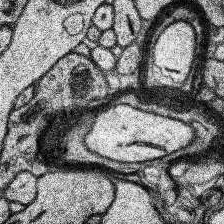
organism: Human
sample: Temporal Lobe